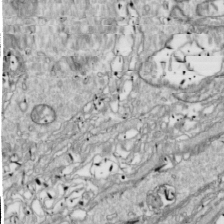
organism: Drosophila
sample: Cell division; meiosis; drosophila spermatocytes